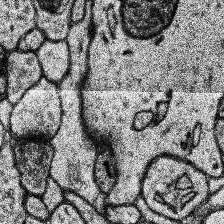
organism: Human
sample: Temporal Lobe